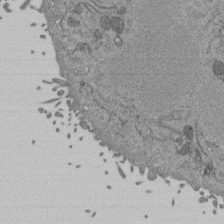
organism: Mouse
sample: ED-1 cell nuclei; centrioles